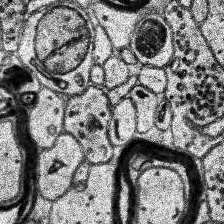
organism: Human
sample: Temporal Lobe